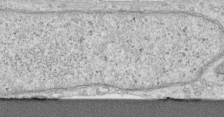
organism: Human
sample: Centriole in RPE cells